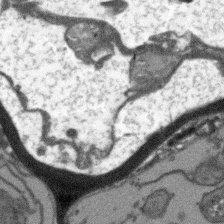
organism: Arabidopsis thaliana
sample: Root tip